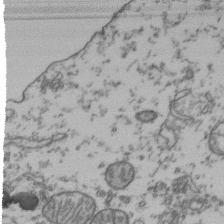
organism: Human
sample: Activated Jurkat CD4+ T cells